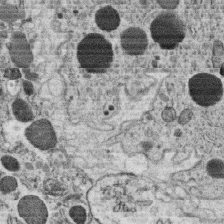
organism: C. elegans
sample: C. elegans oocyte; sperm cells